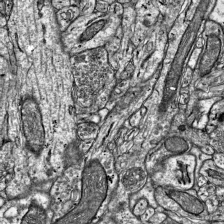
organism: Mouse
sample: Visual Cortex